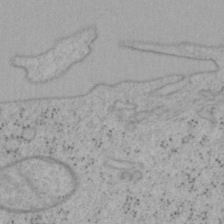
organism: Human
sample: HeLa cells